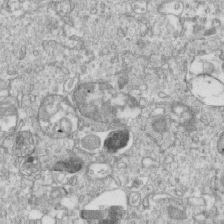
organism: Mouse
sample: Activated OT-1 CD8+ T cells